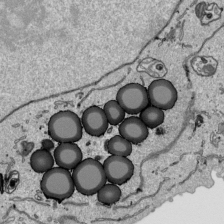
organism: Human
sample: Mitochondria in HCT116 cells